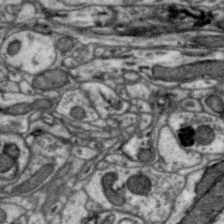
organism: Zebra finch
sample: Brain